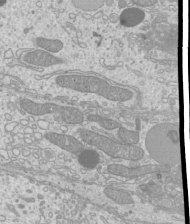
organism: Mouse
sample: Cilia; mouse epididymis